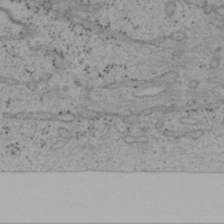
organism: Human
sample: HeLa cells